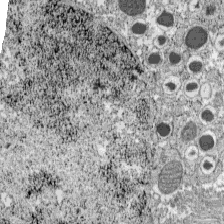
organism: C57BL Mouse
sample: Pancreatic islet